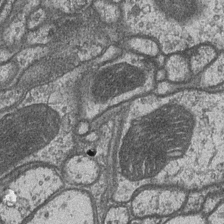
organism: Drosophila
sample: Optic medulla